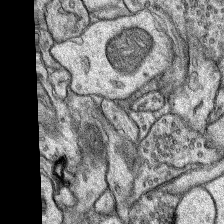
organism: Rat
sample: Hippocampus